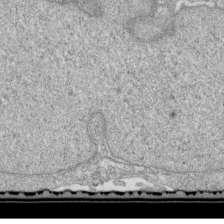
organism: Human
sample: HeLa cell HIV synapse